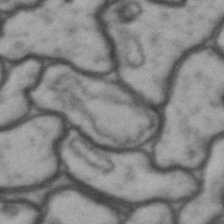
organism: Drosophila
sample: Brain